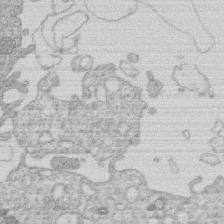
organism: Human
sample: Macrophage cells